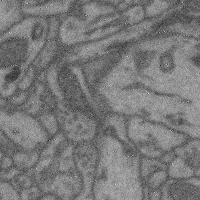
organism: Mouse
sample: Cerebral cortex